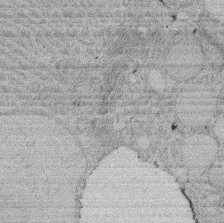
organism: Rat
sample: Salivary granule